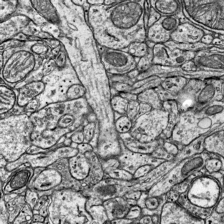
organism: Mouse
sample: Visual Cortex